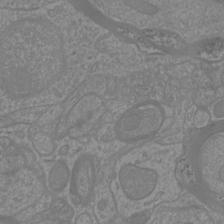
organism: Mouse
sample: Cortical neurons